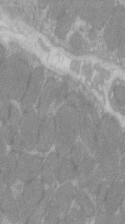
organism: C57BL Mouse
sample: Tibialis anterior muscle cell